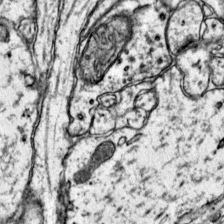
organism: Mouse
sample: Primary visual cortex